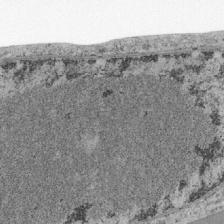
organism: Human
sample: HeLa cells